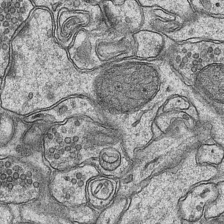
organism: Mouse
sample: CA1 Hippocampus